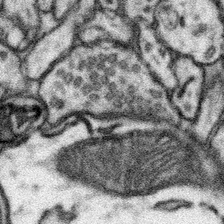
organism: Mouse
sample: Somatosensory cortex neuropil